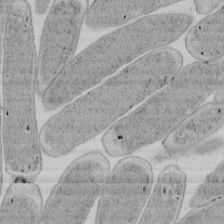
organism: E. coli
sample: Bacterial nucleoid